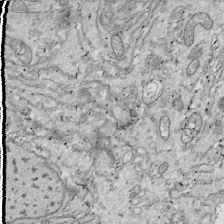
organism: Drosophila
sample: Cell division; meiosis; drosophila spermatocytes